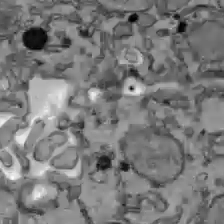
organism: C57BL Mouse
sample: Liver